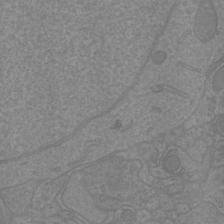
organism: Mouse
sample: Cortical neurons